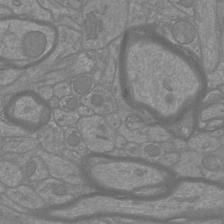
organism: Mouse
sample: Cortical neurons